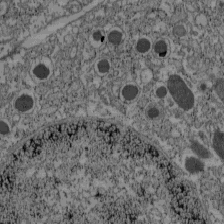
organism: C57BL Mouse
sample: Pancreatic islet